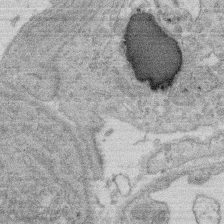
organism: Rat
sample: Salivary granule